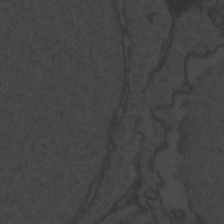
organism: Zebrafish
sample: Macrophage infected with Toxoplasma gondii